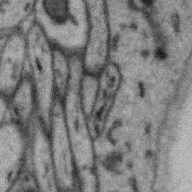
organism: Zebra finch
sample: Brain